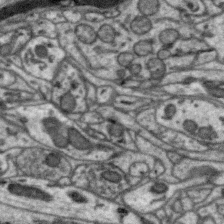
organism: Zebra finch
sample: Brain